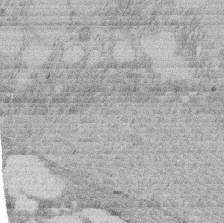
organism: Rat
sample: Salivary granule